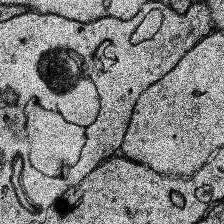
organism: Human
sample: Temporal Lobe